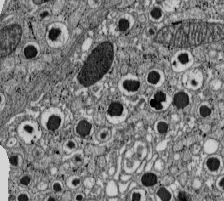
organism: C57BL Mouse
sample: Pancreatic islet